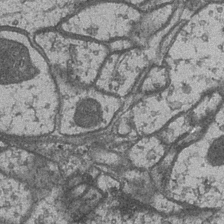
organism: Drosophila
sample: Optic medulla